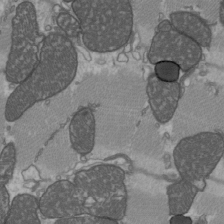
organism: C57BL Mouse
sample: Heart